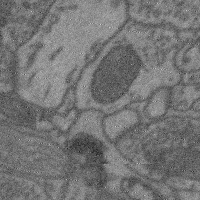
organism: Mouse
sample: Cerebral cortex